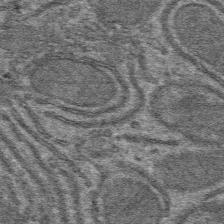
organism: Mouse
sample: Mouse hepatocytes